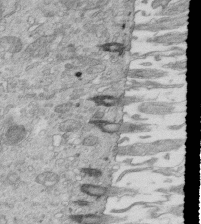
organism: Mouse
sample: Multiciliated cells